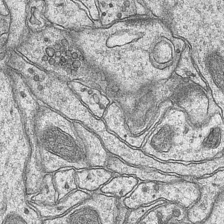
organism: Mouse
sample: CA1 Hippocampus